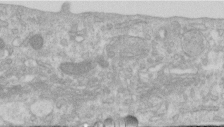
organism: Human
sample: Centriole in RPE cells